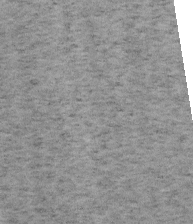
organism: Mouse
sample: OT-I killer T cells with ID8 ovarian cancer cells